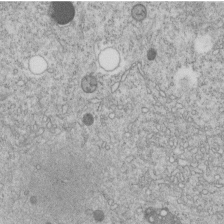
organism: C. elegans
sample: C. elegans embryo early stage